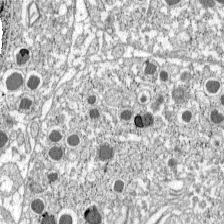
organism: C57BL Mouse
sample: Pancreatic islet